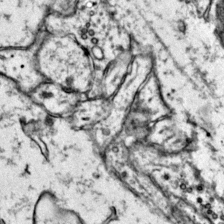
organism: Mouse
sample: Primary visual cortex